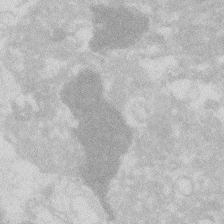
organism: Zebrafish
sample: Macrophage